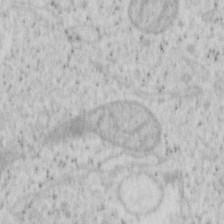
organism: Human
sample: HeLa cells